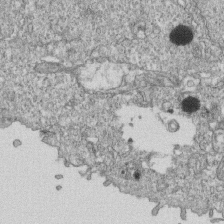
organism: Human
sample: HeLa cell HIV synapse